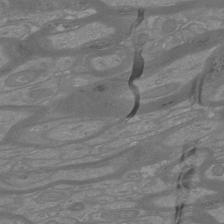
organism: Mouse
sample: Cortical neurons